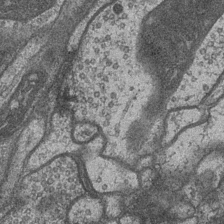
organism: Drosophila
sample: Optic medulla